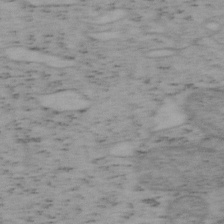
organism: Mouse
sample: OT-I killer T cells with ID8 ovarian cancer cells